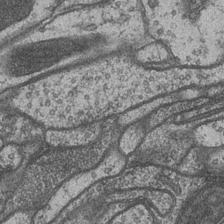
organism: Drosophila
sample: Optic medulla